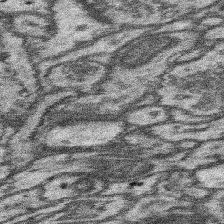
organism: Mouse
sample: Somatosensory cortex neuropil